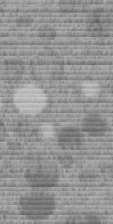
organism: C. elegans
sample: C. elegans embryo early stage